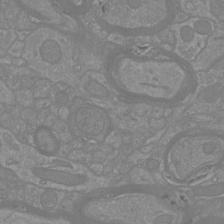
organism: Mouse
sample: Cortical neurons